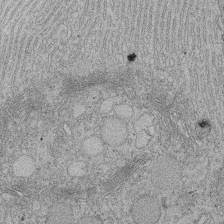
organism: Rat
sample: Salivary granule